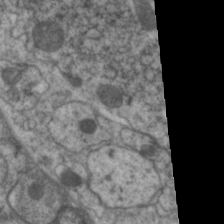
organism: C. elegans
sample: Pharynx